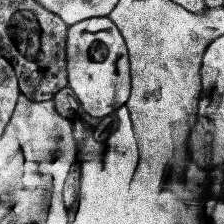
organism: Human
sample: Temporal Lobe